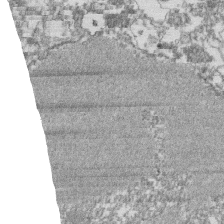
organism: Human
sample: HeLa cell HIV synapse